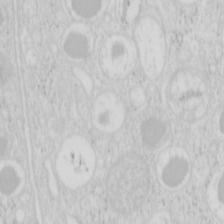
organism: Mouse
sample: Pancreas